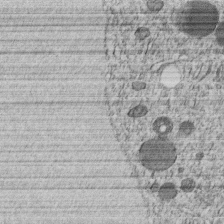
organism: C. elegans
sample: C. elegans embryo early stage